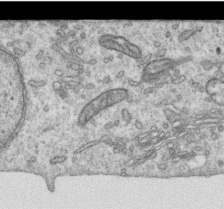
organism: Human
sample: Centriole in RPE cells